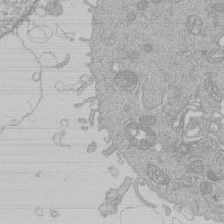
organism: Human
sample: Macrophage cells